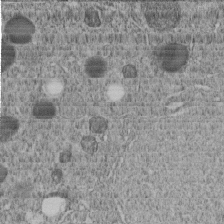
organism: C. elegans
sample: C. elegans embryo early stage